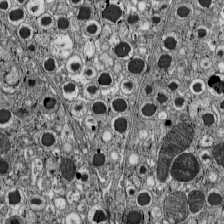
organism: C57BL Mouse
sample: Pancreatic islet